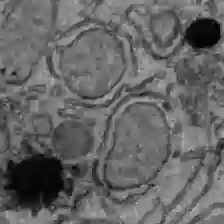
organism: C57BL Mouse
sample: Liver